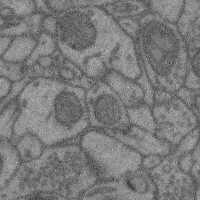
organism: Mouse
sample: Cerebral cortex